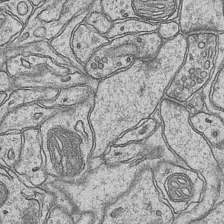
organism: Mouse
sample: CA1 Hippocampus